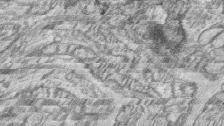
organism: Zebrafish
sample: synaptic ribbons in rod cells and cone cells